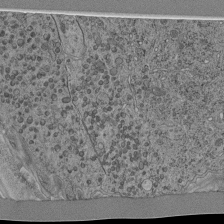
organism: C. elegans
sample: C. elegans pharynx